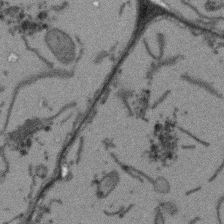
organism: Arabidopsis thaliana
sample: Root tip